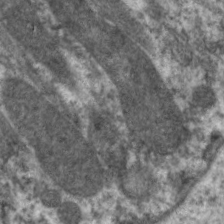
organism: C. elegans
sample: Pharynx